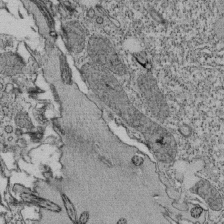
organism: Tetrahymena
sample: Cilia in tetrahymena